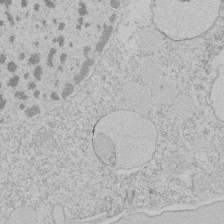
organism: Tetrahymena